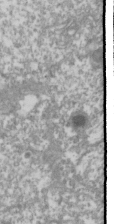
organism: Drosophila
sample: Cell division; meiosis; drosophila spermatocytes